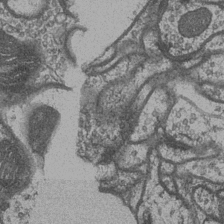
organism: Drosophila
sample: Optic medulla